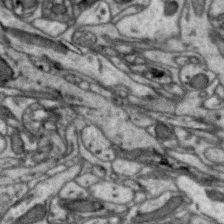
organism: Zebra finch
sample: Brain